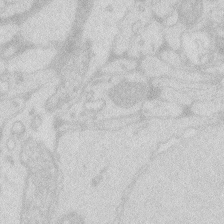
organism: Zebrafish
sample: Macrophage